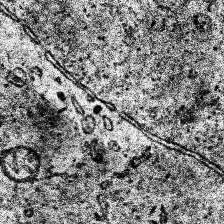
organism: Human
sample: Temporal Lobe